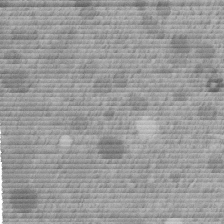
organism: C. elegans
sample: C. elegans embryo early stage